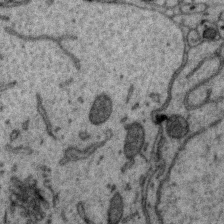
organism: Zebra finch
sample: Brain